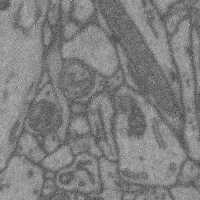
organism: Mouse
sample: Cerebral cortex